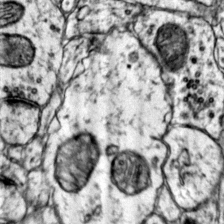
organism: Mouse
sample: Primary visual cortex